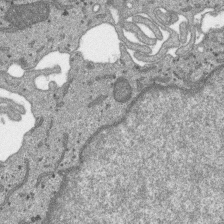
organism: Human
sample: Lung epithelial cells infected with SARS-CoV-2